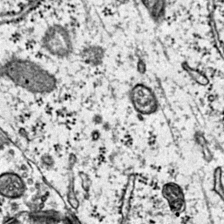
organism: Mouse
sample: Primary visual cortex